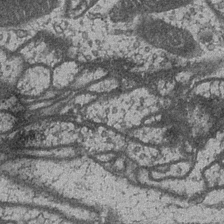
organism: Drosophila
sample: Optic medulla